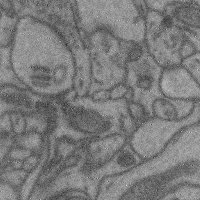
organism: Mouse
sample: Cerebral cortex